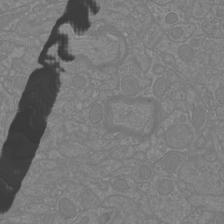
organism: Mouse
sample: Cortical neurons